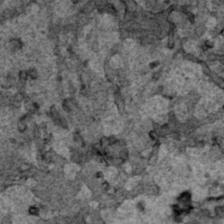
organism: Human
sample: Mitochondria in HCT116 cells